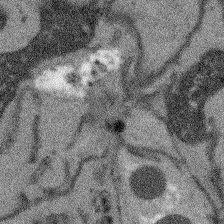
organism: Arabidopsis thaliana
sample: Root tip